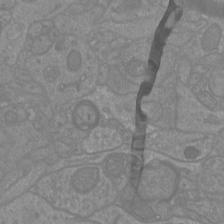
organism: Mouse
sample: Cortical neurons